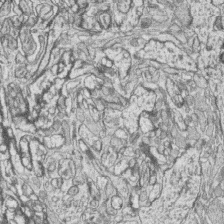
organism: Zebrafish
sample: synaptic ribbons in rod cells and cone cells